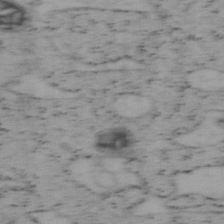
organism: Mouse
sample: OT-I killer T cells with ID8 ovarian cancer cells